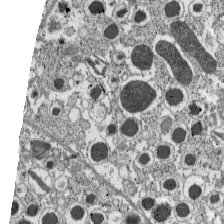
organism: C57BL Mouse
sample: Pancreatic islet